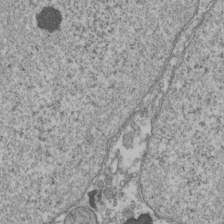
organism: Human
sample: Activated Jurkat CD4+ T cells